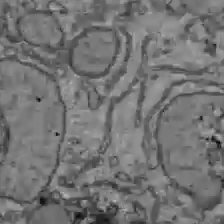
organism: C57BL Mouse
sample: Liver